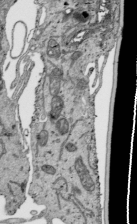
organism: Human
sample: Mitochondria in HCT116 cells